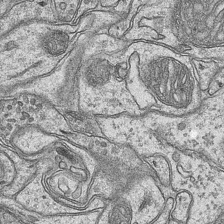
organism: Mouse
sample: CA1 Hippocampus